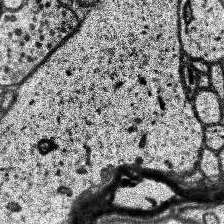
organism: Human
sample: Temporal Lobe